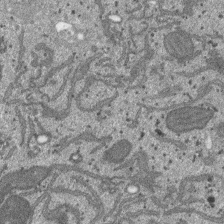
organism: Human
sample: Lung epithelial cells infected with SARS-CoV-2